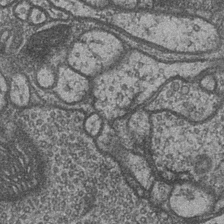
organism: Drosophila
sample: Optic medulla